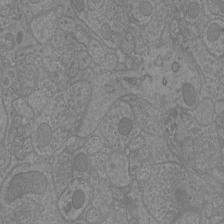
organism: Mouse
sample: Cortical neurons